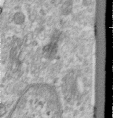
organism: Human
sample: Centriole in RPE cells